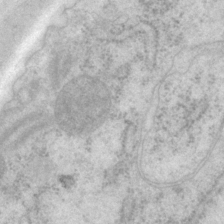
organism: P. pacificus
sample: Pharynx